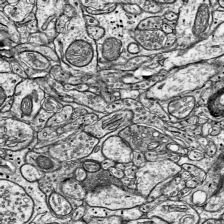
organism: Mouse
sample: Visual Cortex